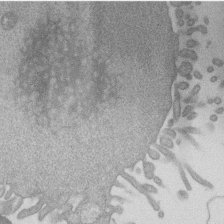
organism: Mouse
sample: Dividing mouse embryo 1 cell stage